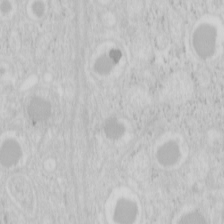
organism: Mouse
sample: Pancreas